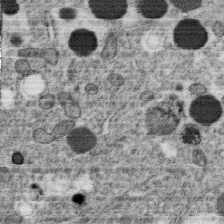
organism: C. elegans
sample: C. elegans oocyte; sperm cells